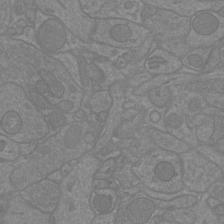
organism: Mouse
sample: Cortical neurons